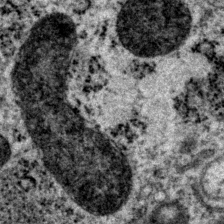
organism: P. pacificus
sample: Pharynx